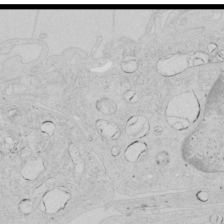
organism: Human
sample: Mitochondria in HCT116 cells